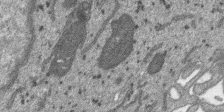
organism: Human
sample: Lung epithelial cells infected with SARS-CoV-2